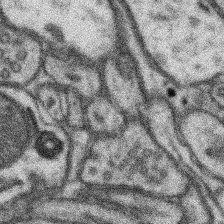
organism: Mouse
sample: Somatosensory cortex neuropil